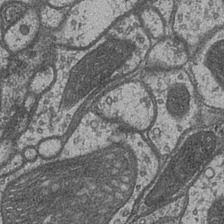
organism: Drosophila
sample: Optic medulla